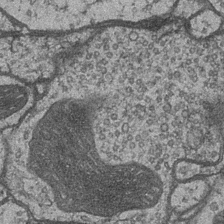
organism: Drosophila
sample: Optic medulla